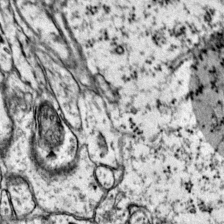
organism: Mouse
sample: Primary visual cortex